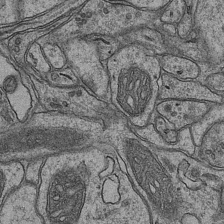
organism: Mouse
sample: CA1 Hippocampus